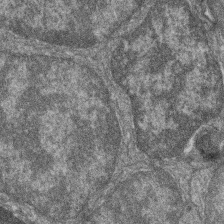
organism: Zebrafish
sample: Cilia; retinal pigment epithelium